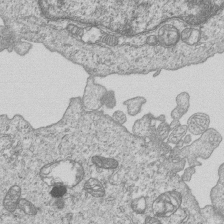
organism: Human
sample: MDA-MB-231 cells